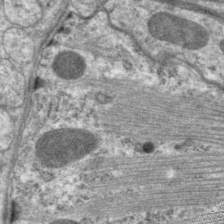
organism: C. elegans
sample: Pharynx